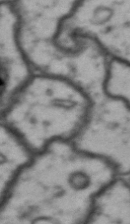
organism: Drosophila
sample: Brain